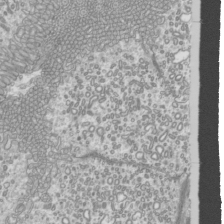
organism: Mouse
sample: Cilia; mouse epididymis